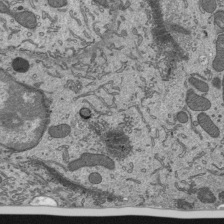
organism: Mouse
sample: Mouse epididymis efferent ductule cilia